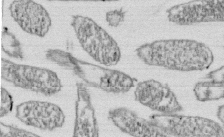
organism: E. coli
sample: Bacterial nucleoid